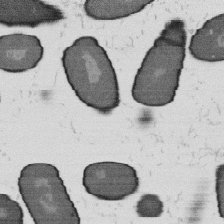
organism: B. subtilis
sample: Bacterial spore